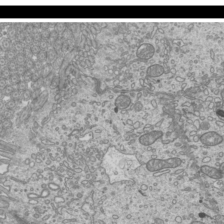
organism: Mouse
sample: Cilia; mouse epididymis